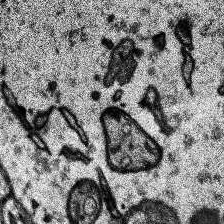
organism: Human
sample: Temporal Lobe